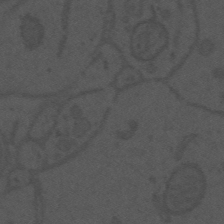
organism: Mouse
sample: Suprachiasmatic nucleus